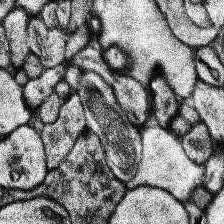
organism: Human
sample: Temporal Lobe